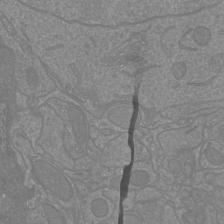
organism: Mouse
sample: Cortical neurons